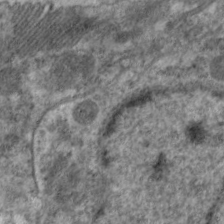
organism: C. elegans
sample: Pharynx